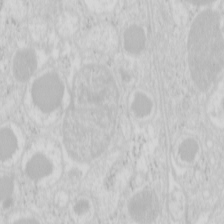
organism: Mouse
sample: Pancreas